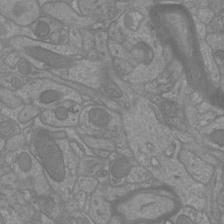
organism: Mouse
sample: Cortical neurons